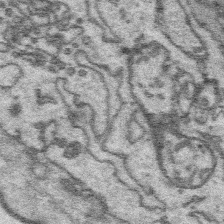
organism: Platynereis dumerilii